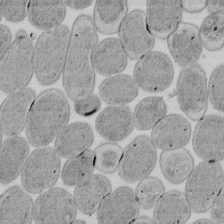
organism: E. coli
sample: Bacterial nucleoid